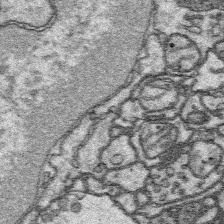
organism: Platynereis dumerilii